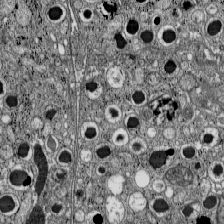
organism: C57BL Mouse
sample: Pancreatic islet